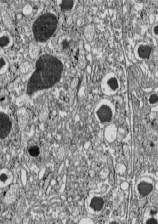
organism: C57BL Mouse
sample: Pancreatic islet